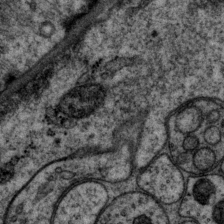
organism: P. pacificus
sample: Pharynx